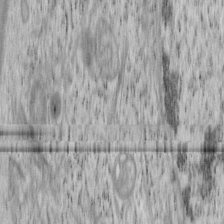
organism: Human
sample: HeLa cells